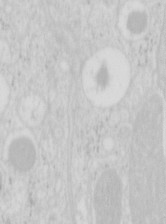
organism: Mouse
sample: Pancreas